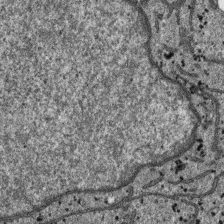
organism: Human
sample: Lung epithelial cells infected with SARS-CoV-2